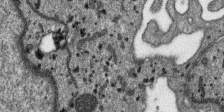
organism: Human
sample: Lung epithelial cells infected with SARS-CoV-2